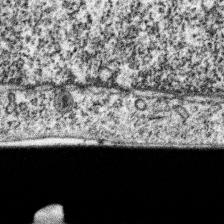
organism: Human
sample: HeLa cells